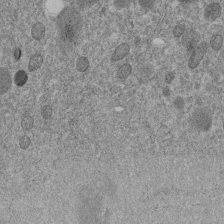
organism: C. elegans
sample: C. elegans embryo early stage